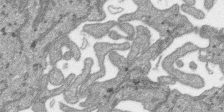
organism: Human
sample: Lung epithelial cells infected with SARS-CoV-2